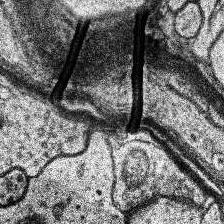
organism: Human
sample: Temporal Lobe